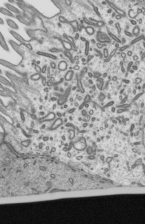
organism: Mouse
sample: Mouse epididymis efferent ductule cilia